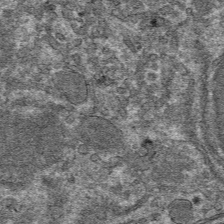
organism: Mouse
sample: Mouse hepatocytes